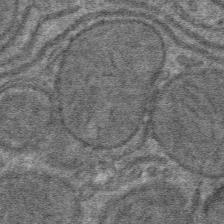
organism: Mouse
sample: Mouse hepatocytes